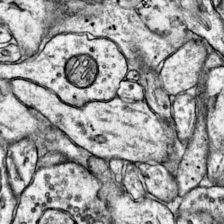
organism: Mouse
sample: Primary visual cortex